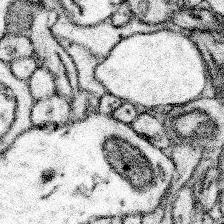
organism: Mouse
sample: Somatosensory cortex neuropil